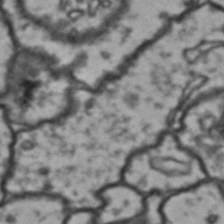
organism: Drosophila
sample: Brain